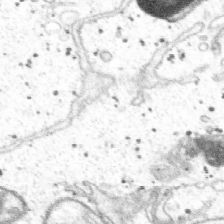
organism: Human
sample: HeLa cells